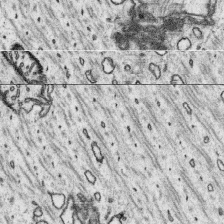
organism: Platynereis dumerilii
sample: Parapodia